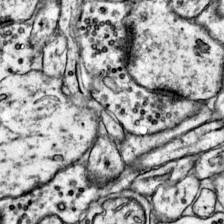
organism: Mouse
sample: Primary visual cortex